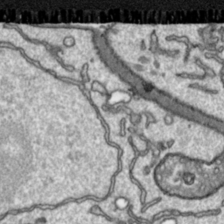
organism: Toxoplasma gondii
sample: Parasites in a vacuole inside a host cell